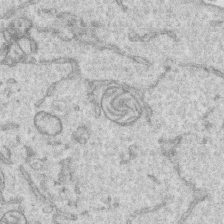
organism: Human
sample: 1205lu cells